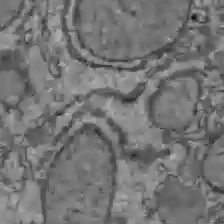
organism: C57BL Mouse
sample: Liver